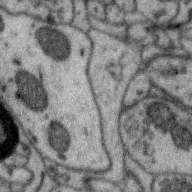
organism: Zebra finch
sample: Brain